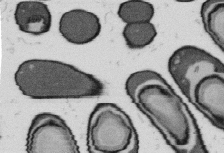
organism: B. subtilis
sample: Bacterial spore